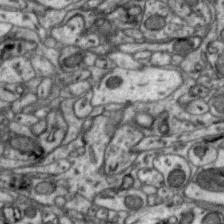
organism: Zebra finch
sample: Brain